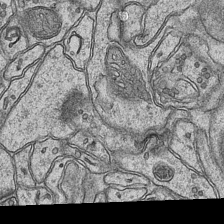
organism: Mouse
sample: CA1 Hippocampus